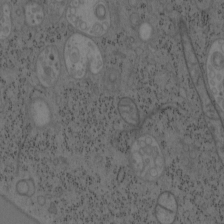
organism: Mouse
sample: OT-I killer T cells with ID8 ovarian cancer cells